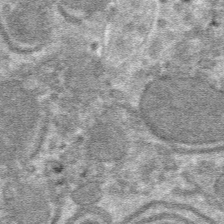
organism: Mouse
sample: Mouse hepatocytes